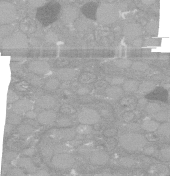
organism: C. elegans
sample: C. elegans oocyte; sperm cells